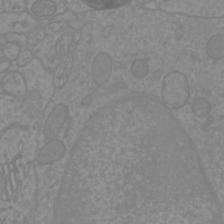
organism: Mouse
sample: Cortical neurons